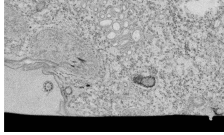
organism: Tetrahymena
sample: Cilia in tetrahymena